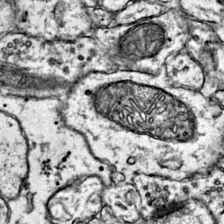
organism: Mouse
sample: Primary visual cortex